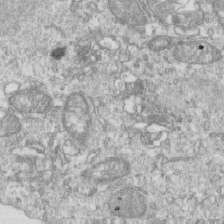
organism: Mouse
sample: Activated OT-1 CD8+ T cells